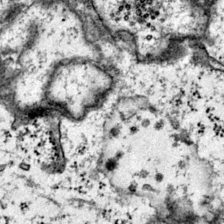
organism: Mouse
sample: Primary visual cortex